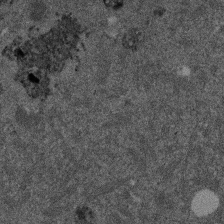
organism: Mouse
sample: Dividing mouse embryo 1 cell stage